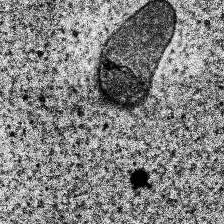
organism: Human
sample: Temporal Lobe